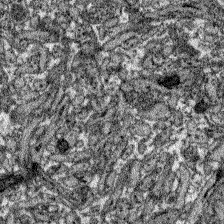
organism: Zebrafish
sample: Larval olfactory bulb